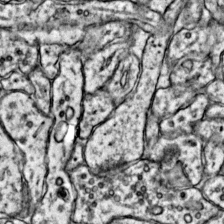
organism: Mouse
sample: Primary visual cortex